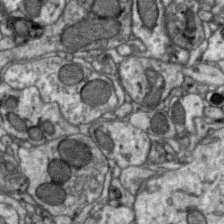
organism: Zebra finch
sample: Brain